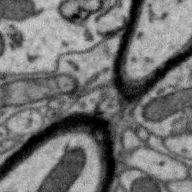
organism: Zebra finch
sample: Brain